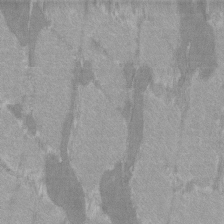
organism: C57BL Mouse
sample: Tibialis anterior muscle cell